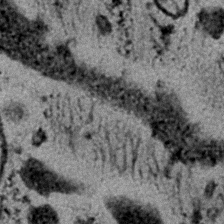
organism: C. elegans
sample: C. elegans embryo